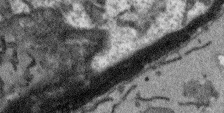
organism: Arabidopsis thaliana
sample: Root tip